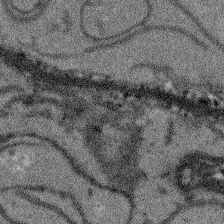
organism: Arabidopsis thaliana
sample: Root tip